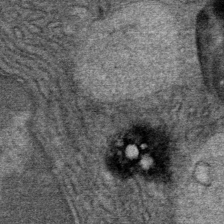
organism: Mouse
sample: Mouse Salivary gland